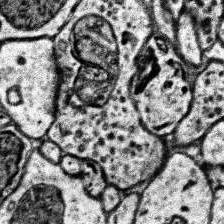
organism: Human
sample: Temporal Lobe